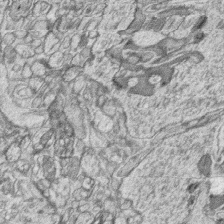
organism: Zebrafish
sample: synaptic ribbons in rod cells and cone cells